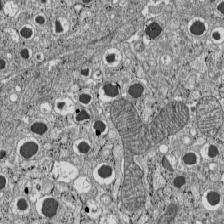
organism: C57BL Mouse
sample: Pancreatic islet